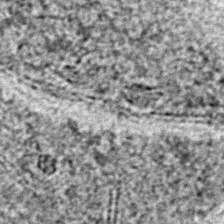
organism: E. coli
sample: E. Coli Bacteria